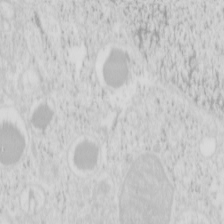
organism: Mouse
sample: Pancreas